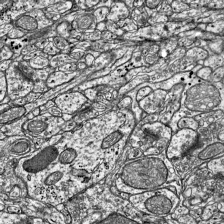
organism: Mouse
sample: Visual Cortex